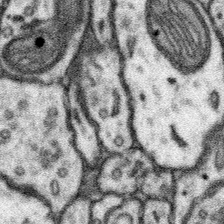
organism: Mouse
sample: Somatosensory cortex neuropil